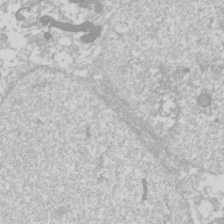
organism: Drosophila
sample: Cell division; meiosis; drosophila spermatocytes